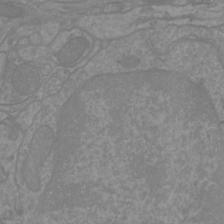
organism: Mouse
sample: Cortical neurons